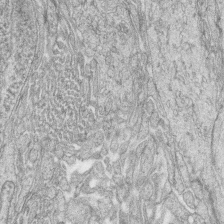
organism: Zebrafish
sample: synaptic ribbons in rod cells and cone cells